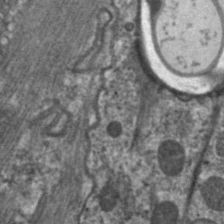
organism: C. elegans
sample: Pharynx